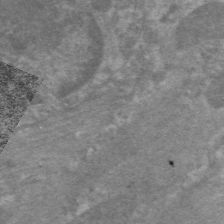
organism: C. elegans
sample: Pharynx